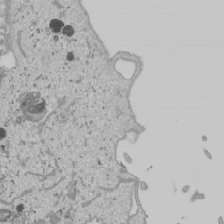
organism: Human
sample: Mitochondria in U2OS cells